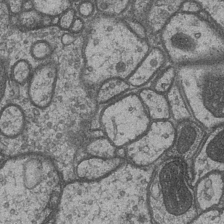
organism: Drosophila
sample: Optic medulla